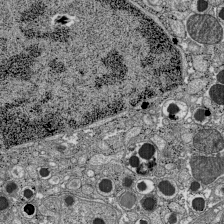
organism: C57BL Mouse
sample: Pancreatic islet